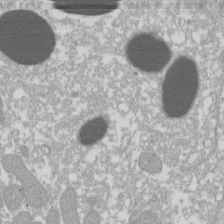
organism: Xenopus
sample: Cilia; centrioles in frog embryo cells